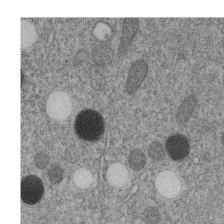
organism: C. elegans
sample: C. elegans embryo early stage